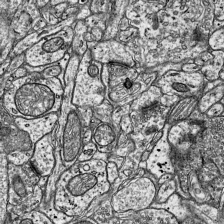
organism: Mouse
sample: Visual Cortex